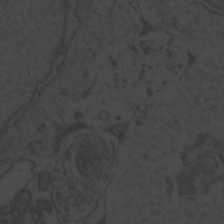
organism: Zebrafish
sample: Macrophage infected with Toxoplasma gondii